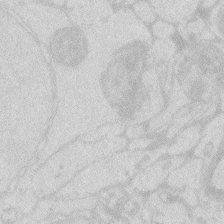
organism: Zebrafish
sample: Macrophage